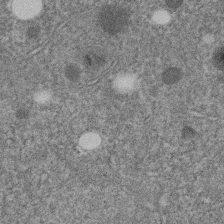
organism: C. elegans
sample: C. elegans embryo early stage